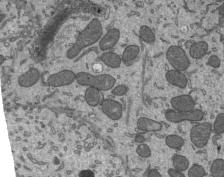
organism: Mouse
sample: Mouse epididymis efferent ductule cilia